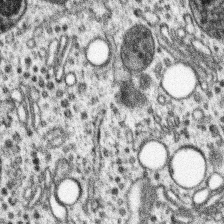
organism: Human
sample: HeLa cells